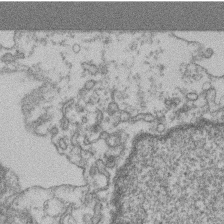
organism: Mouse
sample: T cell stromal cell synapse